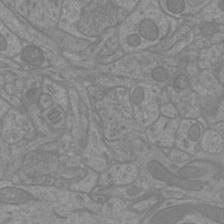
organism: Mouse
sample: Cortical neurons